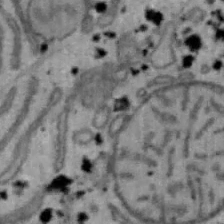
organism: Mouse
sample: Liver